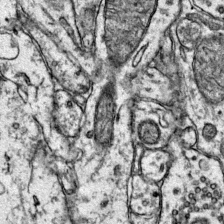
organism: Mouse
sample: Primary visual cortex